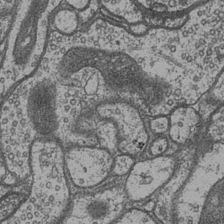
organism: Drosophila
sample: Optic medulla